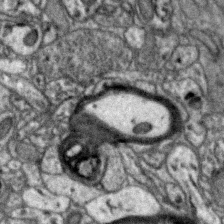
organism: Zebra finch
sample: Brain